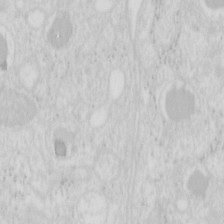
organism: Mouse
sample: Pancreas